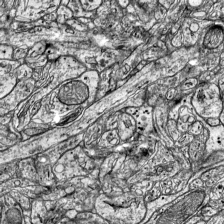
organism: Mouse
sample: Visual Cortex